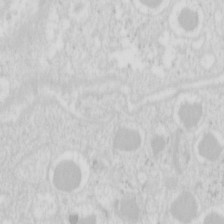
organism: Mouse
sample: Pancreas